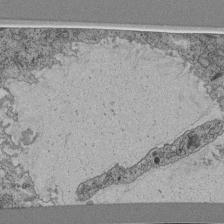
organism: C. elegans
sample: C. elegans pharynx